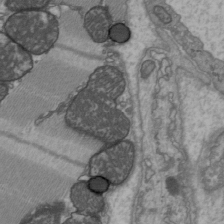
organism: C57BL Mouse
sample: Heart